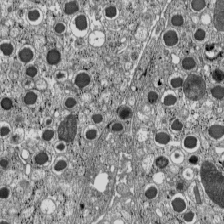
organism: C57BL Mouse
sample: Pancreatic islet